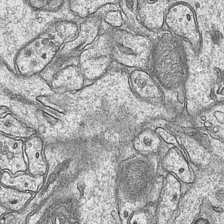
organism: Mouse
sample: CA1 Hippocampus